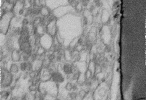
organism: Human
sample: Centriole in fibroblast cells